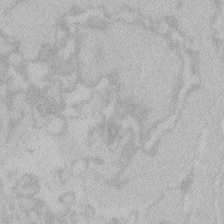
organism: Zebrafish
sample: Macrophage infected with Toxoplasma gondii